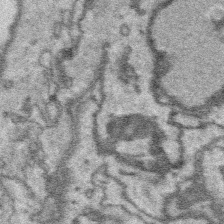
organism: Platynereis dumerilii